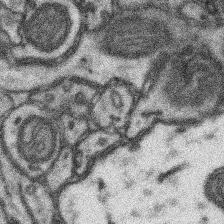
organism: Mouse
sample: Somatosensory cortex neuropil